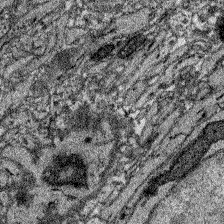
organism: Zebrafish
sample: Larval olfactory bulb